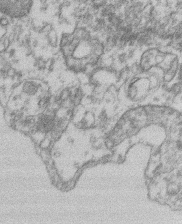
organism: Mouse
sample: T cell stromal cell synapse